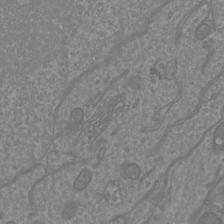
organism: Mouse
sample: Cortical neurons